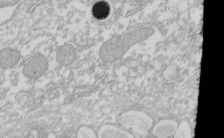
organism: Xenopus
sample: Cilia; centrioles in frog embryo cells